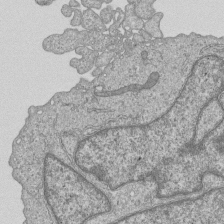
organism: Human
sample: MDA-MB-231 cells